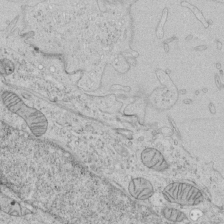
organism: Human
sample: Mitochondria in HCT116 cells